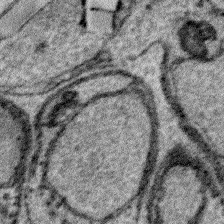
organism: Plasmodium falciparum